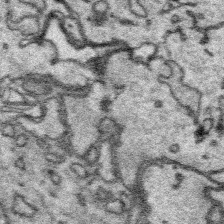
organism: Platynereis dumerilii